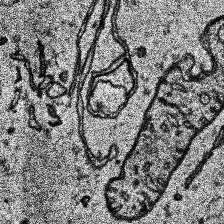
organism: Human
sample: Temporal Lobe